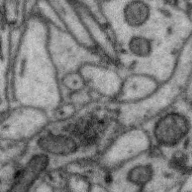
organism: Zebra finch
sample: Brain